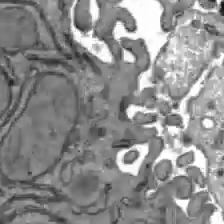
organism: C57BL Mouse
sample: Liver